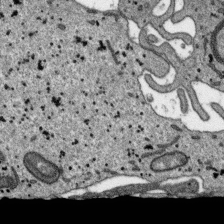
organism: Human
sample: Lung epithelial cells, uninfected (mock) control